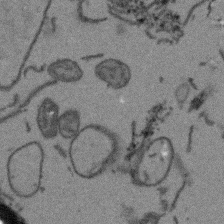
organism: Arabidopsis thaliana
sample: Root tip